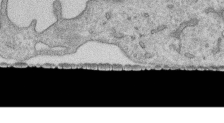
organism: Human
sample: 1205lu cells